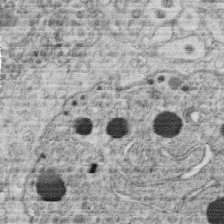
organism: C. elegans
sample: C. elegans oocyte; sperm cells